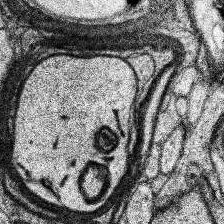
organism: Human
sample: Temporal Lobe